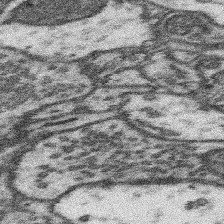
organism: Mouse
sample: Somatosensory cortex neuropil